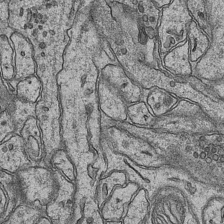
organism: Mouse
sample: CA1 Hippocampus